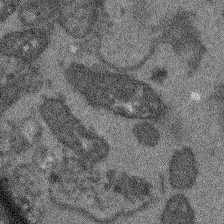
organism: Arabidopsis thaliana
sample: Root tip